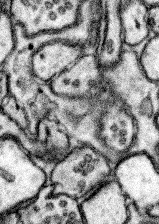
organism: Mouse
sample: Somatosensory cortex neuropil